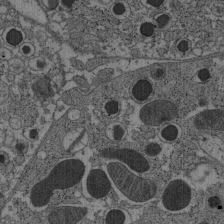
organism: C57BL Mouse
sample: Pancreatic islet